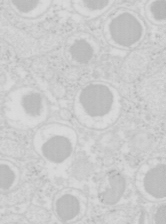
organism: Mouse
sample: Pancreas